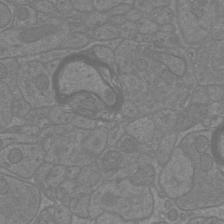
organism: Mouse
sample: Cortical neurons